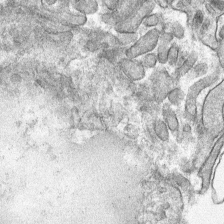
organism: Mouse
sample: Mouse hepatocytes